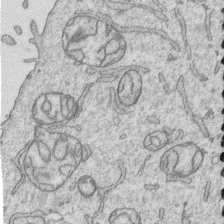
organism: Human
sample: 1205lu cells